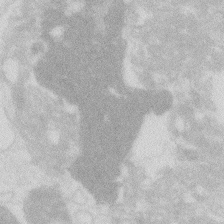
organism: Zebrafish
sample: Macrophage